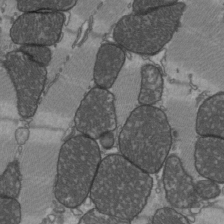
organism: C57BL Mouse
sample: Heart